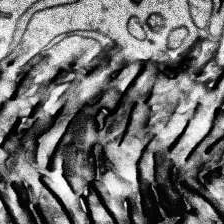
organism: Human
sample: Temporal Lobe